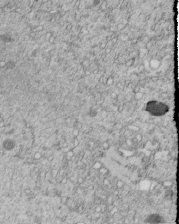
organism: C. elegans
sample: C. elegans embryo early stage